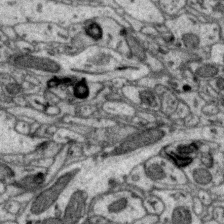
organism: Zebra finch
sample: Brain